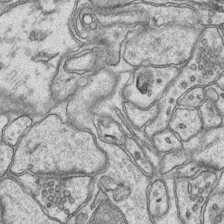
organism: Mouse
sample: CA1 Hippocampus